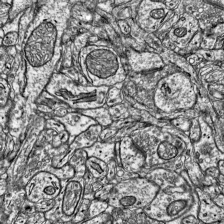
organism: Mouse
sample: Visual Cortex